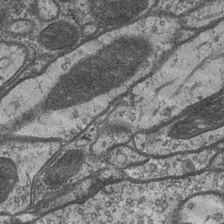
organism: Drosophila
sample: Optic medulla